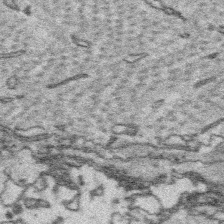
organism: Platynereis dumerilii